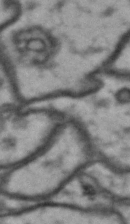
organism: Drosophila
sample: Brain